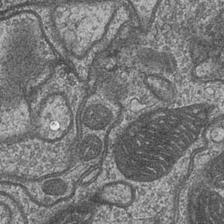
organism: Drosophila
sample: Optic medulla